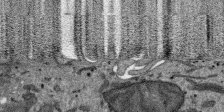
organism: Human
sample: Lung epithelial cells, uninfected (mock) control